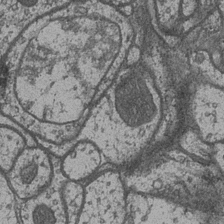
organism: Drosophila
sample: Optic medulla